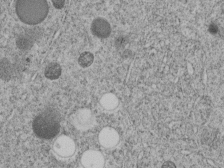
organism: C. elegans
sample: C. elegans embryo early stage